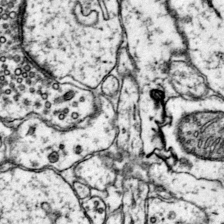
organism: Mouse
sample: Primary visual cortex